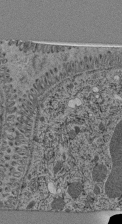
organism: C. elegans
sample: C. elegans pharynx